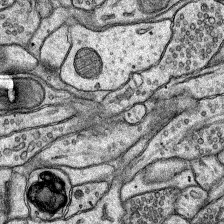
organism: Rat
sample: Hippocampus